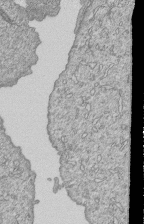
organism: Human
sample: MDA-MB-231 cells